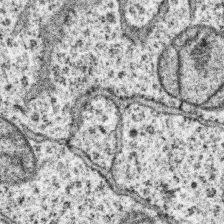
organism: Human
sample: HeLa cells